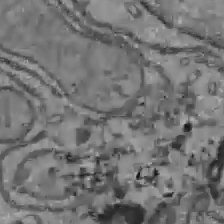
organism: C57BL Mouse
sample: Liver